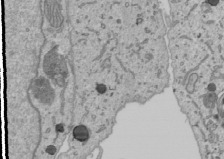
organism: Human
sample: Mitochondria in U2OS cells